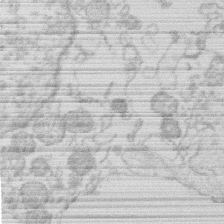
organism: Human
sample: Macrophage cells